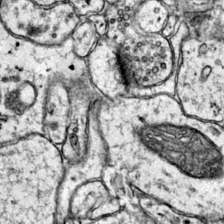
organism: Mouse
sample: Primary visual cortex